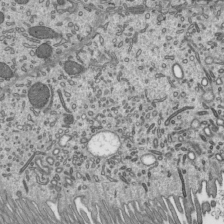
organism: Mouse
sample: Mouse epididymis efferent ductule cilia